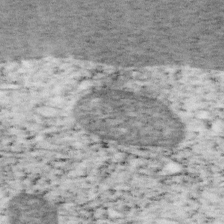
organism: Mouse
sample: OT-I killer T cells with ID8 ovarian cancer cells